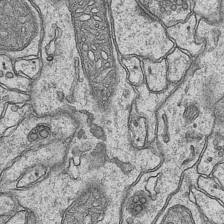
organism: Mouse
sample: CA1 Hippocampus